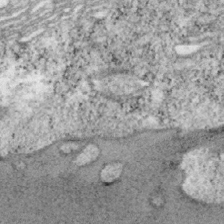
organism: Mouse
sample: OT-I killer T cells with ID8 ovarian cancer cells